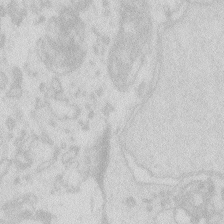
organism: Zebrafish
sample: Macrophage